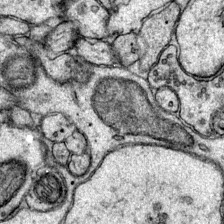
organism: Mouse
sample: Primary visual cortex